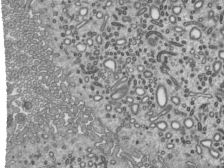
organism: Mouse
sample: Mouse epididymis efferent ductule cilia